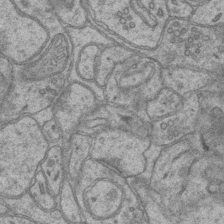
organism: Mouse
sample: CA1 Hippocampus